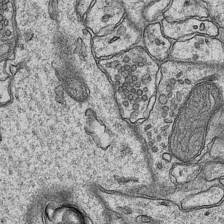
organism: Mouse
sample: CA1 Hippocampus